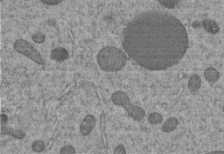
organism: C. elegans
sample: C. elegans embryo early stage